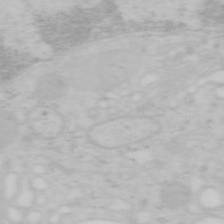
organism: Mouse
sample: OT-I killer T cells with ID8 ovarian cancer cells